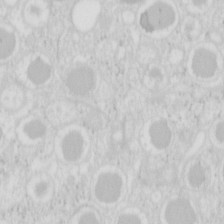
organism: Mouse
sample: Pancreas